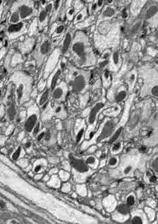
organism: Drosophila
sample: Optic lobe